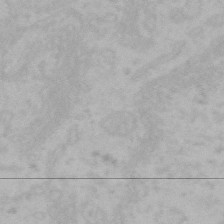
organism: Mouse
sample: Choroid plexus